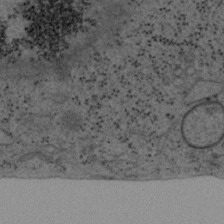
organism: Human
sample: HeLa cells